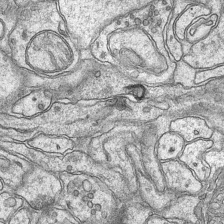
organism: Mouse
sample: CA1 Hippocampus